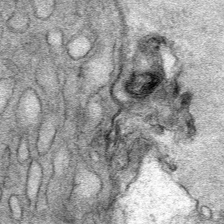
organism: Mouse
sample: Mouse Salivary gland